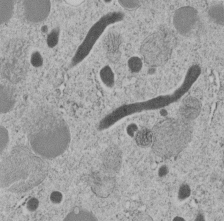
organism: C. elegans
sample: C. elegans embryo early stage